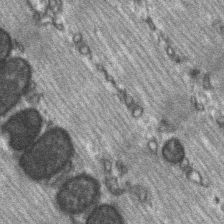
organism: C57BL Mouse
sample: Soleus